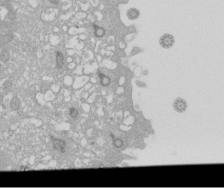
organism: Xenopus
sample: Cilia; centrioles in frog embryo cells